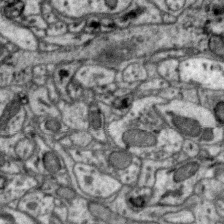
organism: Zebra finch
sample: Brain